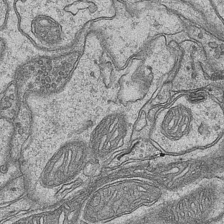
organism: Mouse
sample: CA1 Hippocampus